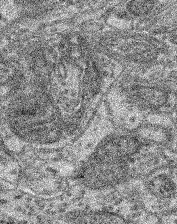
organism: Mouse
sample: Retina